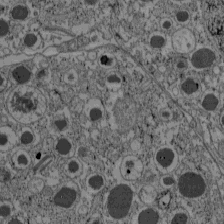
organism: C57BL Mouse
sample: Pancreatic islet